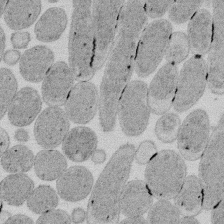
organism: E. coli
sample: Bacterial nucleoid